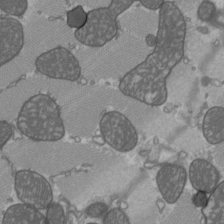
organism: C57BL Mouse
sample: Heart